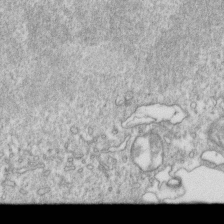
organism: Mouse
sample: Activated OT-1 CD8+ T cells